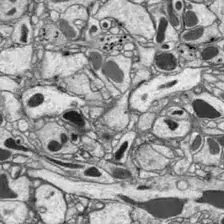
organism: Drosophila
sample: Optic lobe